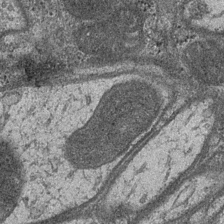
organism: Drosophila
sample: Optic medulla